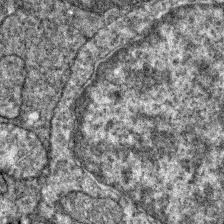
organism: Zebrafish